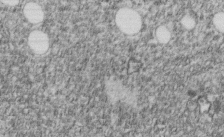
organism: C. elegans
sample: C. elegans embryo early stage